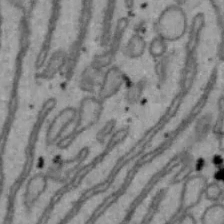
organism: Mouse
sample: Liver